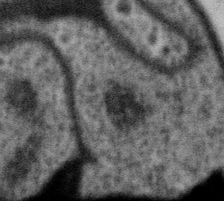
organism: Gemmata obscuriglobus